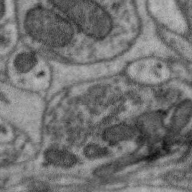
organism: Zebra finch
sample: Brain